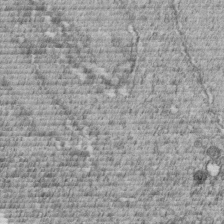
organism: C. elegans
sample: C. elegans embryo early stage